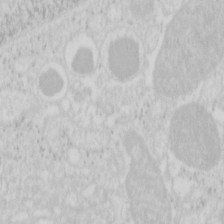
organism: Mouse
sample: Pancreas